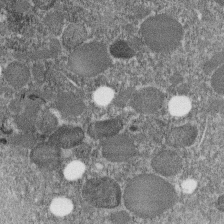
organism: C. elegans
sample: C. elegans embryo early stage